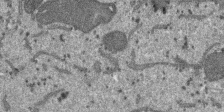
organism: Human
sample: Lung epithelial cells infected with SARS-CoV-2